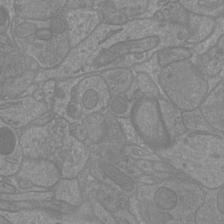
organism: Mouse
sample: Cortical neurons